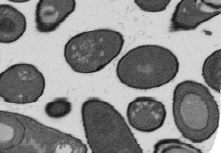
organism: B. subtilis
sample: Bacterial spore